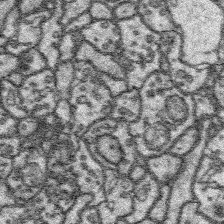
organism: Platynereis dumerilii